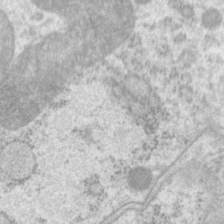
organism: P. pacificus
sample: Pharynx